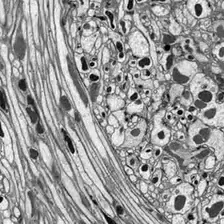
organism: Drosophila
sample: Optic lobe